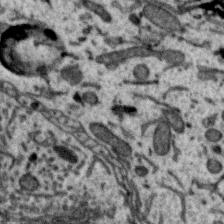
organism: Zebra finch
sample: Brain